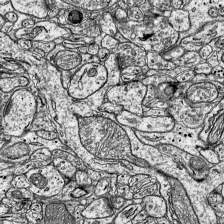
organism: Mouse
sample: Visual Cortex